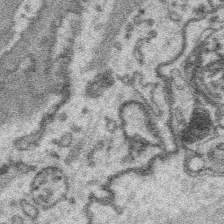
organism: Platynereis dumerilii